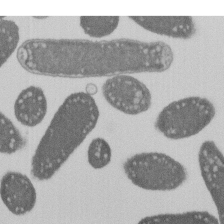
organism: E. coli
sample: Bacterial nucleoid